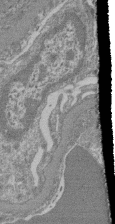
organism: Mouse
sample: Glomerulus